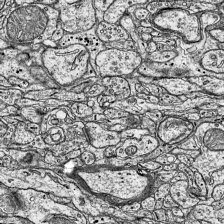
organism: Mouse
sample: Visual Cortex